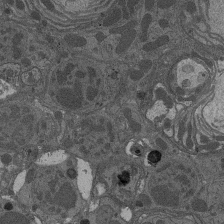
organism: Drosophila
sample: Antenna